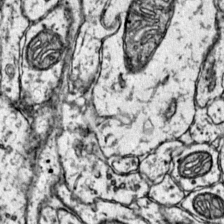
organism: Mouse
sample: Primary visual cortex